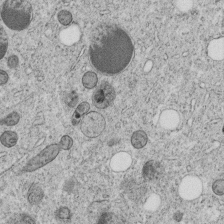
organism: C. elegans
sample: C. elegans embryo early stage